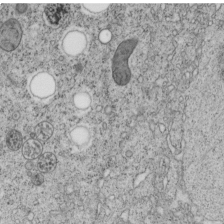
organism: C. elegans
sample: C. elegans embryo early stage